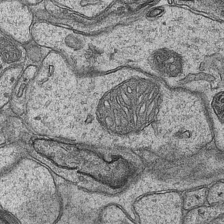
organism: Mouse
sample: CA1 Hippocampus